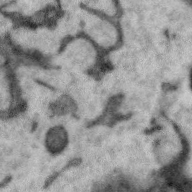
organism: Zebra finch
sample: Brain